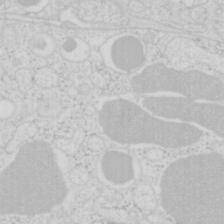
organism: Mouse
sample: Pancreas